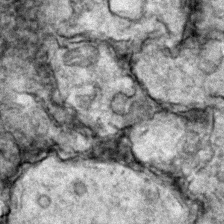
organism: Zebrafish